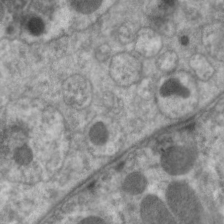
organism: C. elegans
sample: Pharynx